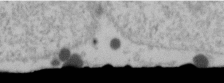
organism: Human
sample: U2-OS cells